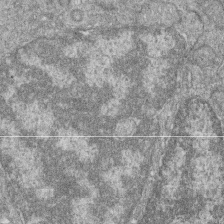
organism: Zebrafish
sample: Cilia; retinal pigment epithelium